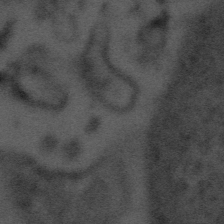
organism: Tuwongella immobilis